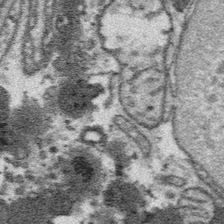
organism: Platynereis dumerilii